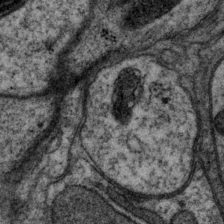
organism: P. pacificus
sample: Pharynx